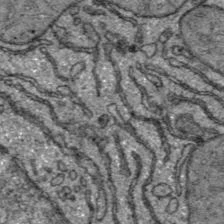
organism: C57BL Mouse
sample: Liver